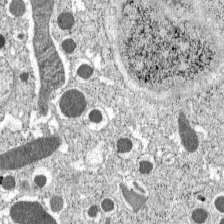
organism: C57BL Mouse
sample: Pancreatic islet